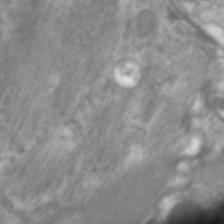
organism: C. elegans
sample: Pharynx